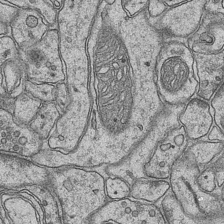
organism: Mouse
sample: CA1 Hippocampus